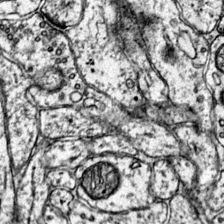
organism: Mouse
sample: Primary visual cortex